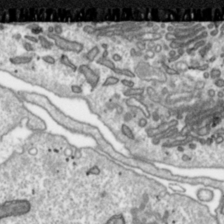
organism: Toxoplasma gondii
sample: Parasites in a vacuole inside a host cell